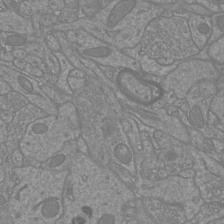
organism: Mouse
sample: Cortical neurons